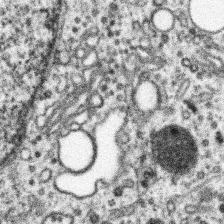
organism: Human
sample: HeLa cells